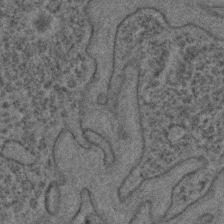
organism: C. elegans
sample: C. elegans embryo